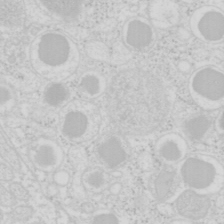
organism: Mouse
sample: Pancreas